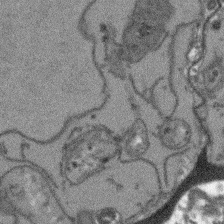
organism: Arabidopsis thaliana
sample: Root tip